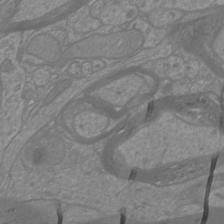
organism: Mouse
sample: Cortical neurons